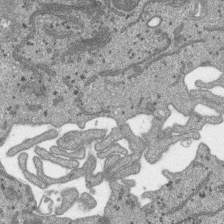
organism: Human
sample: Lung epithelial cells infected with SARS-CoV-2